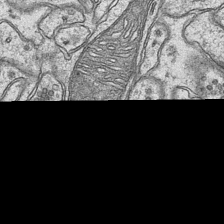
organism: Mouse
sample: CA1 Hippocampus